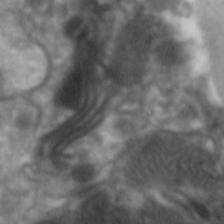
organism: C. elegans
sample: Pharynx